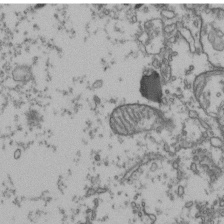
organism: Human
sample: Activated Jurkat CD4+ T cells